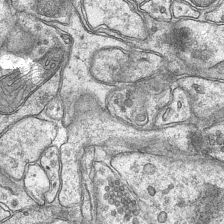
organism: Mouse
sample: CA1 Hippocampus